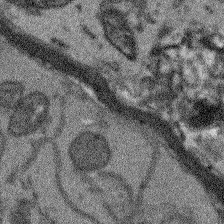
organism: Arabidopsis thaliana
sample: Root tip